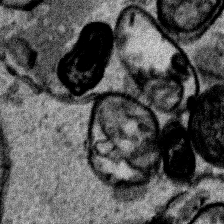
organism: Human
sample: Mitochondria in HCT116 cells